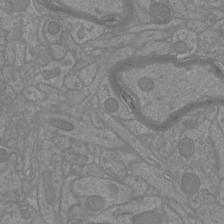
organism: Mouse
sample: Cortical neurons